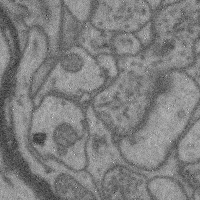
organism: Mouse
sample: Cerebral cortex